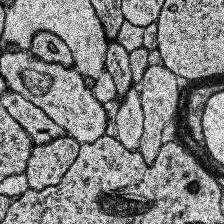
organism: Human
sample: Temporal Lobe